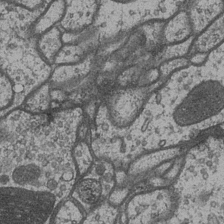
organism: Drosophila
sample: Optic medulla